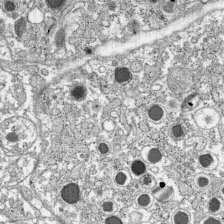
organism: C57BL Mouse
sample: Pancreatic islet